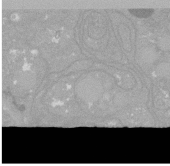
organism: C. elegans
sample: C. elegans oocyte; sperm cells